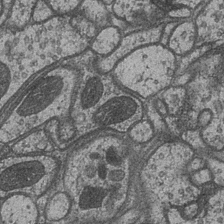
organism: Drosophila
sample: Optic medulla